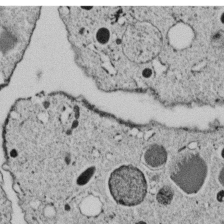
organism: C. elegans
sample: C. elegans embryo early stage